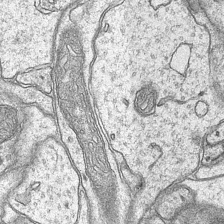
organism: Mouse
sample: CA1 Hippocampus